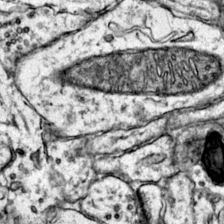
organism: Mouse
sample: Primary visual cortex